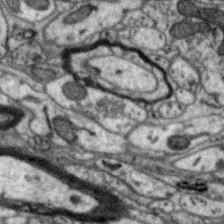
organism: Zebra finch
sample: Brain